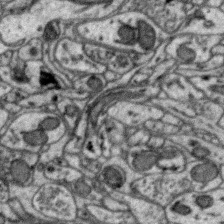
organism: Zebra finch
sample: Brain